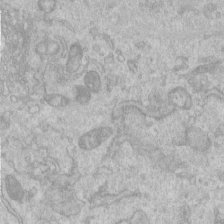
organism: Human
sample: Centriole in RPE cells